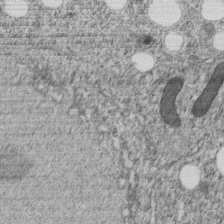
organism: C. elegans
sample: C. elegans embryo early stage